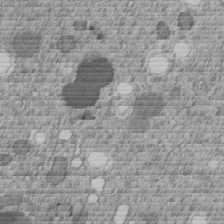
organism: C. elegans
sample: C. elegans embryo early stage